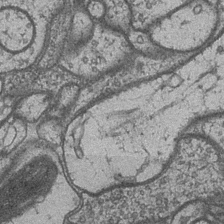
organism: Drosophila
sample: Optic medulla